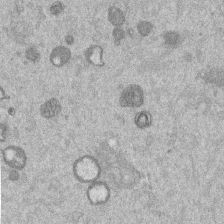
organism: Mouse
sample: Dividing mouse embryo 1 cell stage